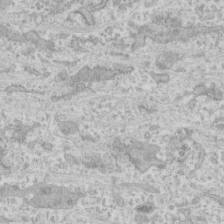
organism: Human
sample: CRL-1474